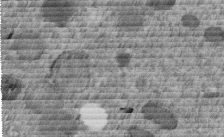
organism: C. elegans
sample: C. elegans embryo early stage